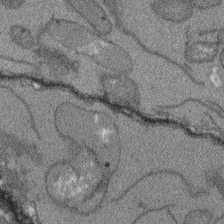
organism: Arabidopsis thaliana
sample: Root tip